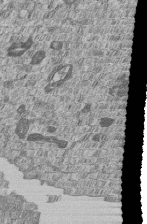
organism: Human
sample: MDA-MB-231 cells